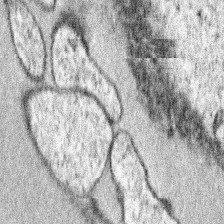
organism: Human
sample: HeLa cells